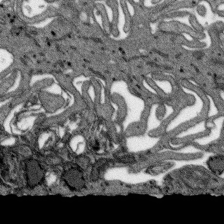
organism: Human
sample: Lung epithelial cells, uninfected (mock) control